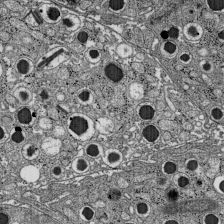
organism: C57BL Mouse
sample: Pancreatic islet